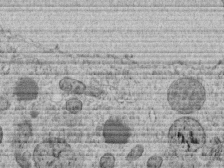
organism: C. elegans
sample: C. elegans embryo early stage